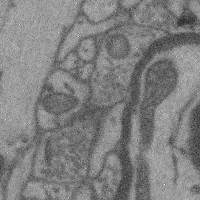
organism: Mouse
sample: Cerebral cortex